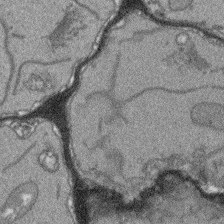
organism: Arabidopsis thaliana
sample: Root tip